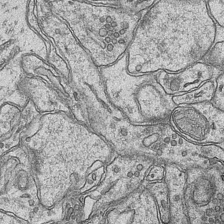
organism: Mouse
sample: CA1 Hippocampus